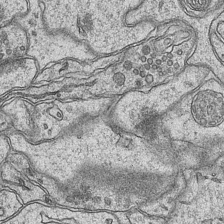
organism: Mouse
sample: CA1 Hippocampus